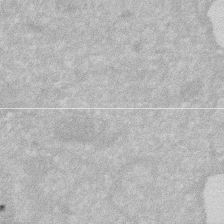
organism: Human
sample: HIV infected U937 cells